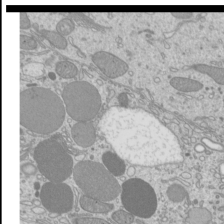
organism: Mouse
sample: Cilia; mouse epididymis